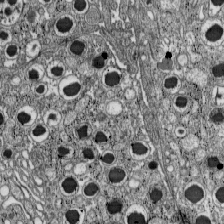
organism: C57BL Mouse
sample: Pancreatic islet